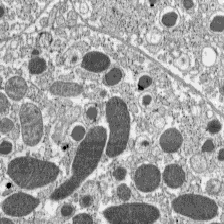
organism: C57BL Mouse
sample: Pancreatic islet